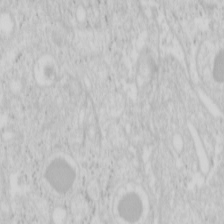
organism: Mouse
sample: Pancreas